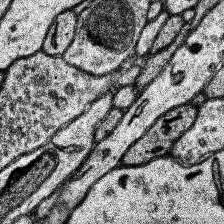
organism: Human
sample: Temporal Lobe